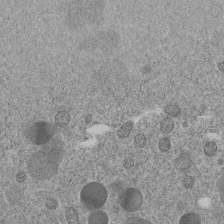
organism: C. elegans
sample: C. elegans embryo early stage